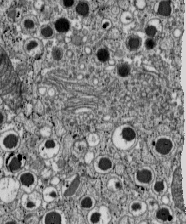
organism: C57BL Mouse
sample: Pancreatic islet